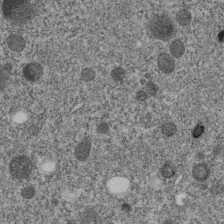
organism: C. elegans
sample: C. elegans embryo early stage